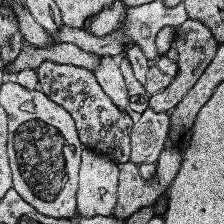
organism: Human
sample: Temporal Lobe